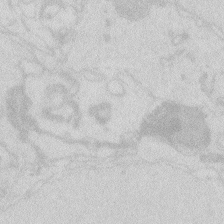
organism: Zebrafish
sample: Macrophage